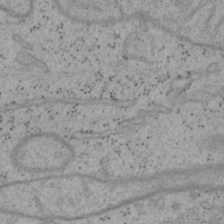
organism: Human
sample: HeLa cells